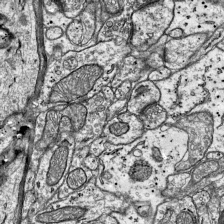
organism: Mouse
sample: Visual Cortex